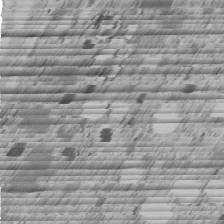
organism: C. elegans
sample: C. elegans embryo early stage